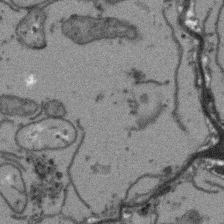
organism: Arabidopsis thaliana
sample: Root tip